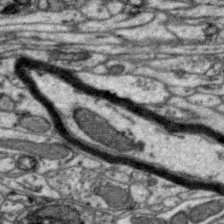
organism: Zebra finch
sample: Brain